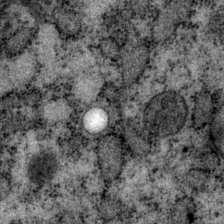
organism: P. pacificus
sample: Pharynx